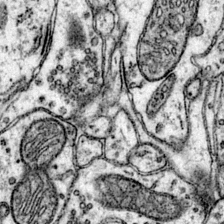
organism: Mouse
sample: Primary visual cortex